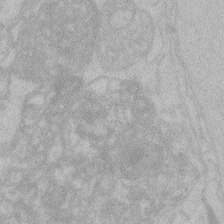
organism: Zebrafish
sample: Macrophage infected with Toxoplasma gondii